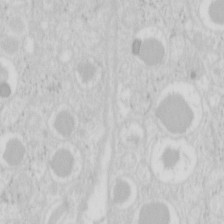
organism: Mouse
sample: Pancreas